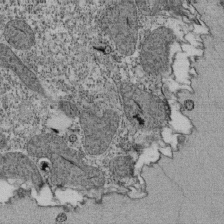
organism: Tetrahymena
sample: Cilia in tetrahymena